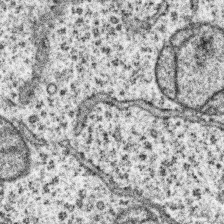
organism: Human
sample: HeLa cells